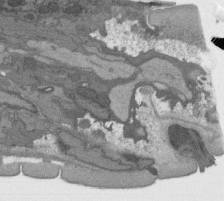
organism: C. elegans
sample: AFD neurons C. elegans